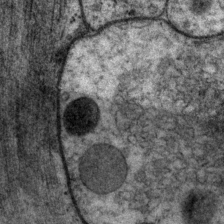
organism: P. pacificus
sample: Pharynx